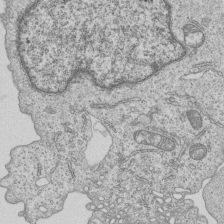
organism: Human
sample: MDA-MB-231 cells